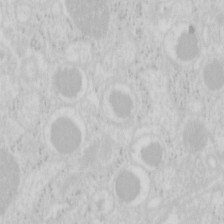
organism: Mouse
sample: Pancreas